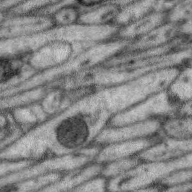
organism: Zebra finch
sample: Brain